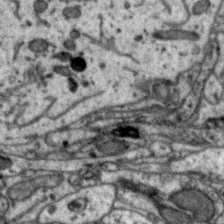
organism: Zebra finch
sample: Brain